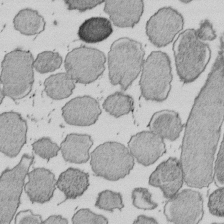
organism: E. coli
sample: Bacterial nucleoid